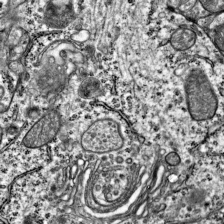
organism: Mouse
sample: Visual Cortex